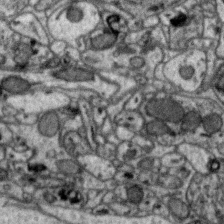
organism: Zebra finch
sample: Brain